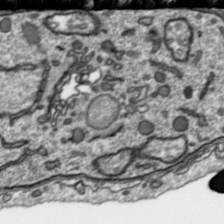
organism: Toxoplasma gondii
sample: Parasites in a vacuole inside a host cell